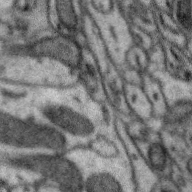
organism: Zebra finch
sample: Brain